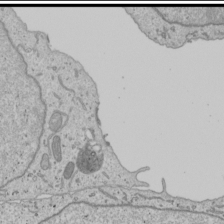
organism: Human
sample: Mitochondria in U2OS cells